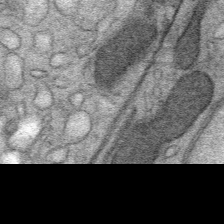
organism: Mouse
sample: Mouse Salivary gland